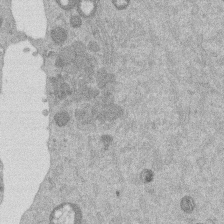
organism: Mouse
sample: Dividing mouse embryo 1 cell stage